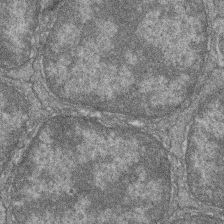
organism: Zebrafish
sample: Cilia; retinal pigment epithelium